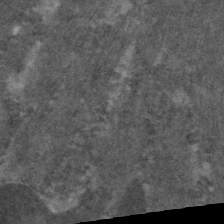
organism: C. elegans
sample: Pharynx